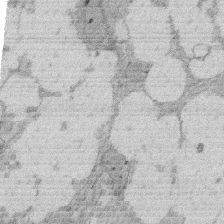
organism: Rat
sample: Salivary granule